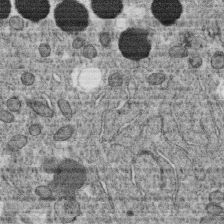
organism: C. elegans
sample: C. elegans oocyte; sperm cells